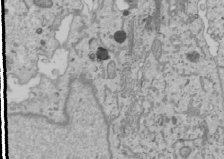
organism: Human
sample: Mitochondria in U2OS cells